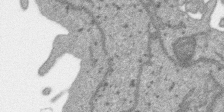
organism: Human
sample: Lung epithelial cells infected with SARS-CoV-2